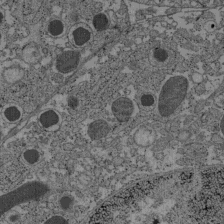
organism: C57BL Mouse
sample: Pancreatic islet